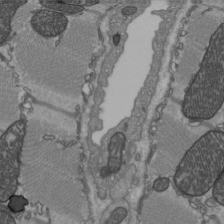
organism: C57BL Mouse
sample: Heart